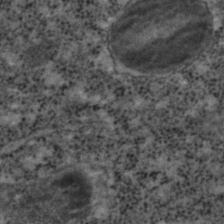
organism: C. elegans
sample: C. elegans embryo